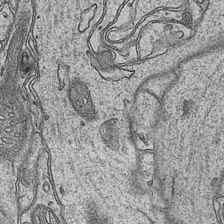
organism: Mouse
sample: CA1 Hippocampus